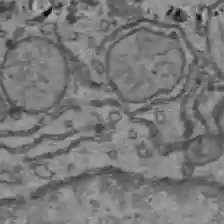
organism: C57BL Mouse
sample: Liver